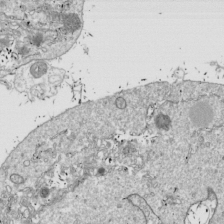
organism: Drosophila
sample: Cell division; meiosis; drosophila spermatocytes